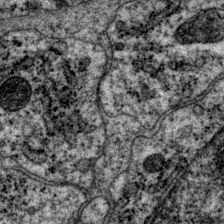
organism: P. pacificus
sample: Pharynx